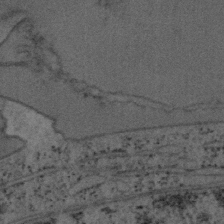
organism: Human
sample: HeLa cells